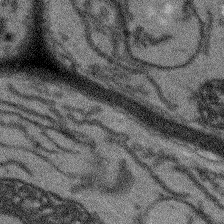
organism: Arabidopsis thaliana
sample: Root tip